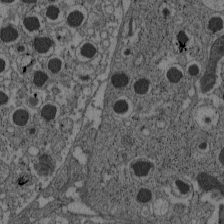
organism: C57BL Mouse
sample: Pancreatic islet